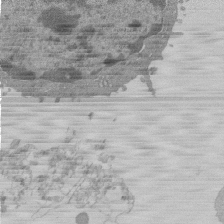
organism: Mouse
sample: Activated Pmel transgenic CD8+ T Cells